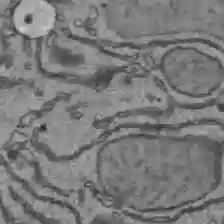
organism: C57BL Mouse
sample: Liver